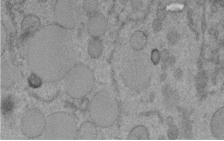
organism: C. elegans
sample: C. elegans embryo early stage